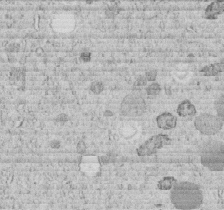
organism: C. elegans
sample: C. elegans embryo early stage